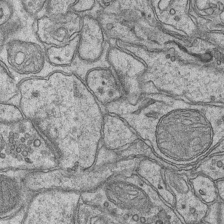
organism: Mouse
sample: CA1 Hippocampus